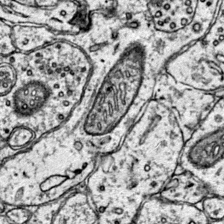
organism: Mouse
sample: Primary visual cortex